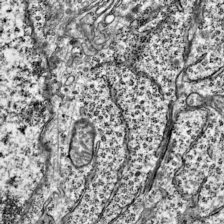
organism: Mouse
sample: Visual Cortex